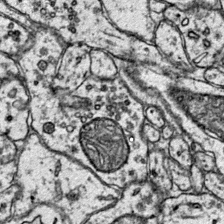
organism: Mouse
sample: Primary visual cortex